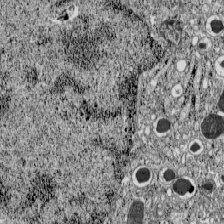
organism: C57BL Mouse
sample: Pancreatic islet